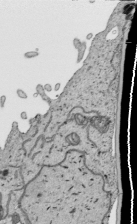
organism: Human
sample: Mitochondria in HCT116 cells